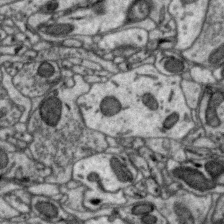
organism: Zebra finch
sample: Brain